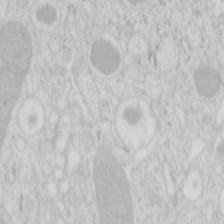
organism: Mouse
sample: Pancreas